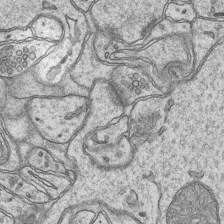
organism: Mouse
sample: CA1 Hippocampus